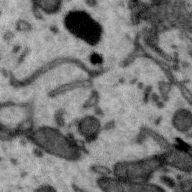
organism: Zebra finch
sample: Brain